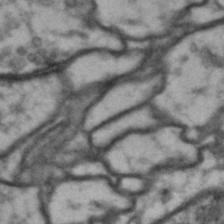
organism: Drosophila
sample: Brain